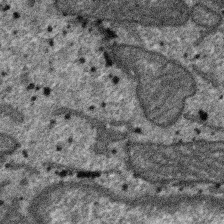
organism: Human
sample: Lung epithelial cells infected with SARS-CoV-2